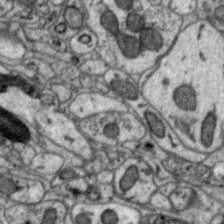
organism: Zebra finch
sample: Brain